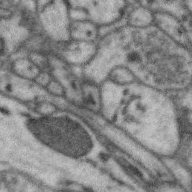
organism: Zebra finch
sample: Brain